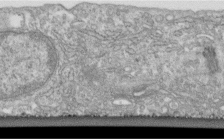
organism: Human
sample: Centriole in fibroblast cells